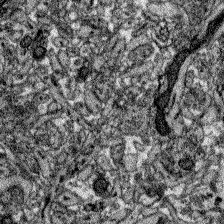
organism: Zebrafish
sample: Larval olfactory bulb